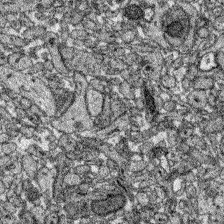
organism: Zebrafish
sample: Larval olfactory bulb